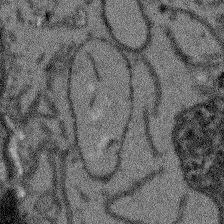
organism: Arabidopsis thaliana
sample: Root tip